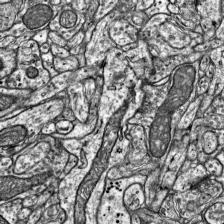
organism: Mouse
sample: Visual Cortex